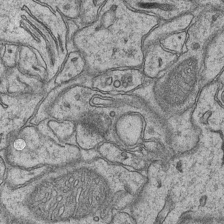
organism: Mouse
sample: CA1 Hippocampus